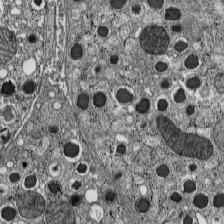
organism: C57BL Mouse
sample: Pancreatic islet